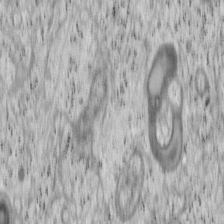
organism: Human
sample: HeLa cells